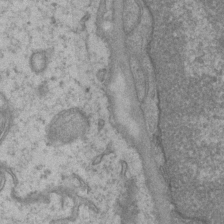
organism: Mouse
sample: CA1 Hippocampus